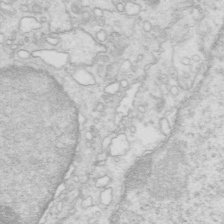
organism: Mouse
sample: Multiciliated cells